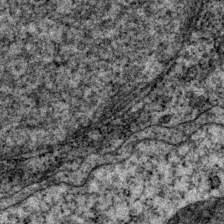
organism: P. pacificus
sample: Pharynx